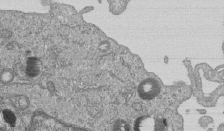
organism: Human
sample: MDA-MB-231 cells